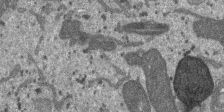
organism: Human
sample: Lung epithelial cells infected with SARS-CoV-2